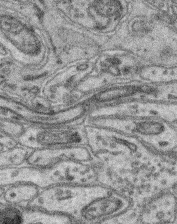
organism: Mouse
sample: Retina